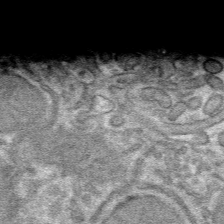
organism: Mouse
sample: Mouse hepatocytes